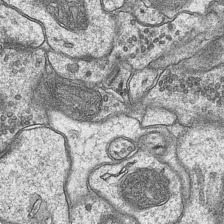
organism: Mouse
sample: CA1 Hippocampus